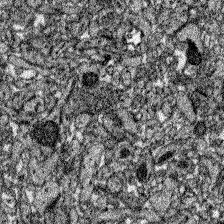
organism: Zebrafish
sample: Larval olfactory bulb